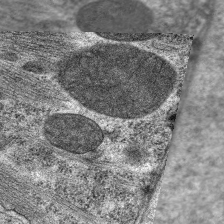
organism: C. elegans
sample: Pharynx